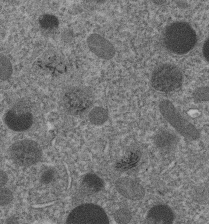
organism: C. elegans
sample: C. elegans embryo early stage